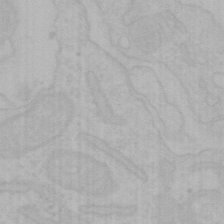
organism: Mouse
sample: Choroid plexus